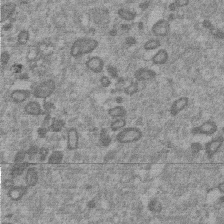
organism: Mouse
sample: Dividing mouse embryo 1 cell stage